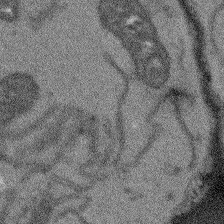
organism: Arabidopsis thaliana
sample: Root tip